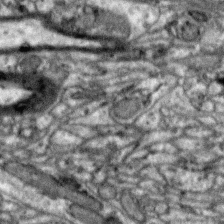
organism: Zebra finch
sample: Brain